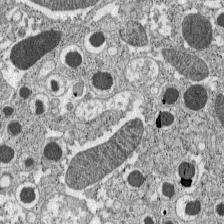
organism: C57BL Mouse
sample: Pancreatic islet